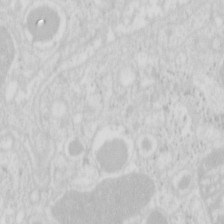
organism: Mouse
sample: Pancreas